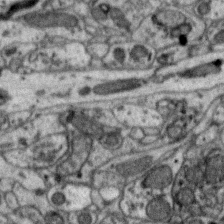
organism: Zebra finch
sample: Brain